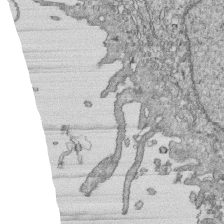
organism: Human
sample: HeLa cell HIV synapse